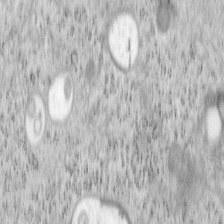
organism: Human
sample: HeLa cells